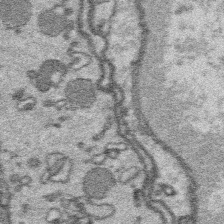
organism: Platynereis dumerilii